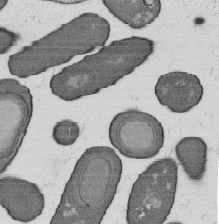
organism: B. subtilis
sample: Bacterial spore